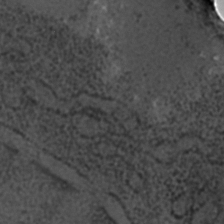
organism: C. elegans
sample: C. elegans embryo